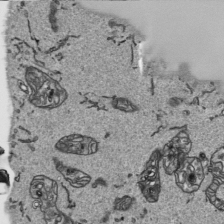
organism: Human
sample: Mitochondria in HCT116 cells